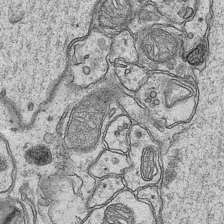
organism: Mouse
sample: CA1 Hippocampus